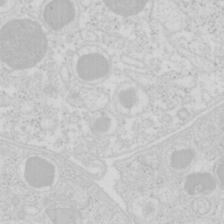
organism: Mouse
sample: Pancreas